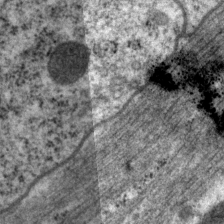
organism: P. pacificus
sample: Pharynx